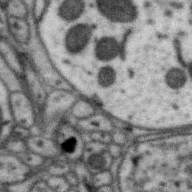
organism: Zebra finch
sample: Brain